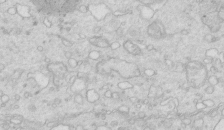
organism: Mouse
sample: Multiciliated cells